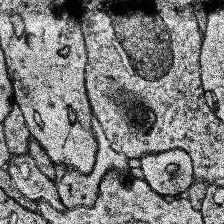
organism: Human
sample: Temporal Lobe